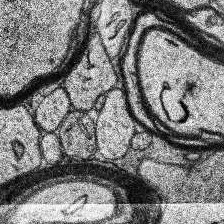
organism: Human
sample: Temporal Lobe